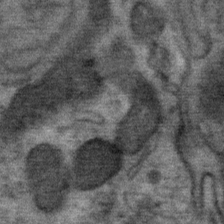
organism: Mouse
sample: Mouse Salivary gland